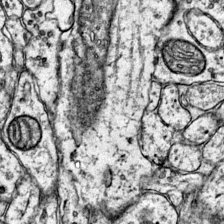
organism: Mouse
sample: Primary visual cortex